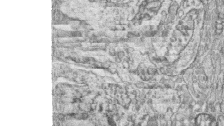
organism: Zebrafish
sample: synaptic ribbons in rod cells and cone cells